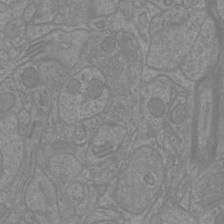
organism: Mouse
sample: Cortical neurons